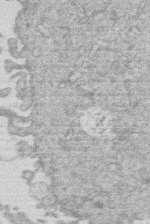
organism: Human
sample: Macrophage cells